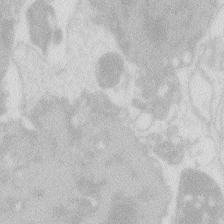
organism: Zebrafish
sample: Macrophage